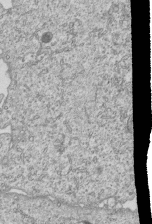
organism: Human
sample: MDA-MB-231 cells